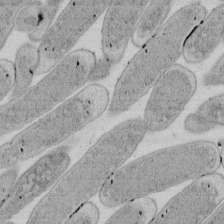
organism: E. coli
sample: Bacterial nucleoid